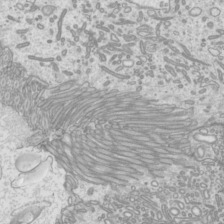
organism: Mouse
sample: Cilia; mouse epididymis